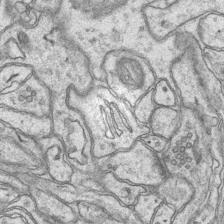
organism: Mouse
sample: CA1 Hippocampus